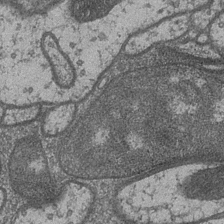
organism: Drosophila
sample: Optic medulla